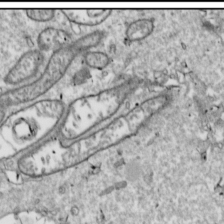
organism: Drosophila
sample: Cell division; meiosis; drosophila spermatocytes